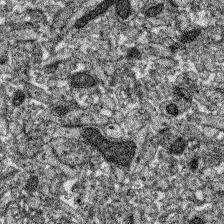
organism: Zebrafish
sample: Larval olfactory bulb